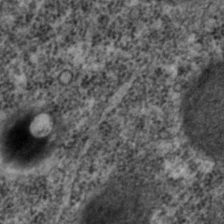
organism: C. elegans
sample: C. elegans embryo